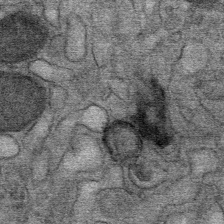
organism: Mouse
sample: Mouse Salivary gland